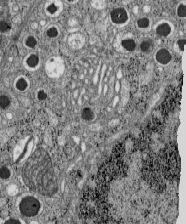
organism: C57BL Mouse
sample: Pancreatic islet